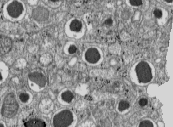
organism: C57BL Mouse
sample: Pancreatic islet